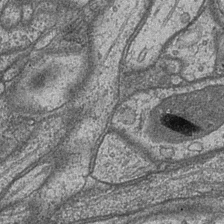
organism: Drosophila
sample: Optic medulla